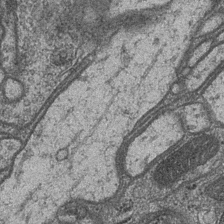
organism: Drosophila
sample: Optic medulla